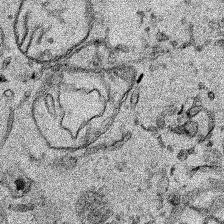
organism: Human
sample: Mitochondria in HCT116 cells